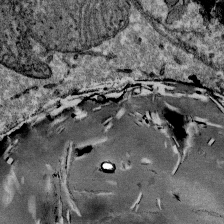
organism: Mouse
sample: Mouse Salivary gland